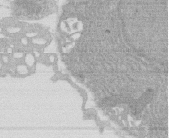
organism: Rat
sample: Salivary granule